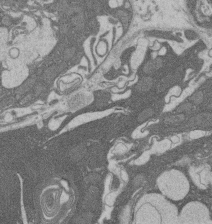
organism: Rat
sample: Salivary granule